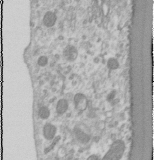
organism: Human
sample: Cilia; basal body in RPE cells